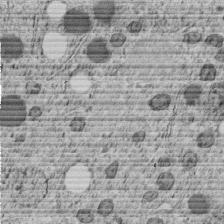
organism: C. elegans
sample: C. elegans embryo early stage